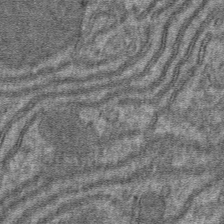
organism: Mouse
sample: Mouse hepatocytes